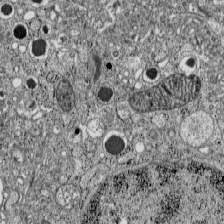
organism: C57BL Mouse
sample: Pancreatic islet